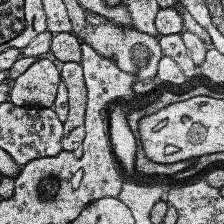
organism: Human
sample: Temporal Lobe